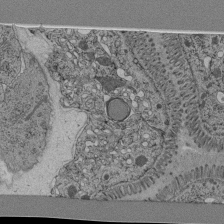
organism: C. elegans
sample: C. elegans pharynx